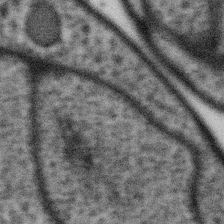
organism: Gemmata obscuriglobus